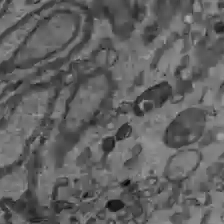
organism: C57BL Mouse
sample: Liver